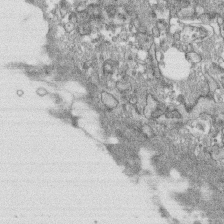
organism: Human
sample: CRL-1474